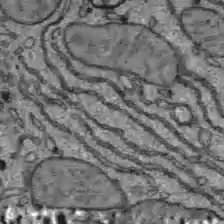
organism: C57BL Mouse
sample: Liver